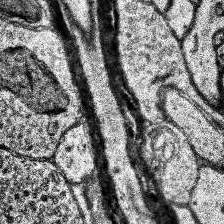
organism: Human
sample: Temporal Lobe